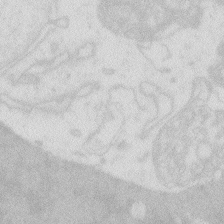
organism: Zebrafish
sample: Macrophage